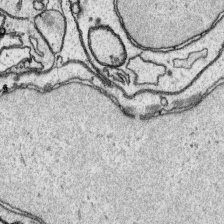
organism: Platynereis dumerilii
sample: Parapodia